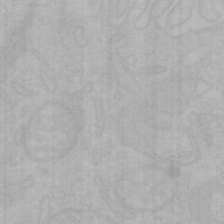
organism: Mouse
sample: Choroid plexus